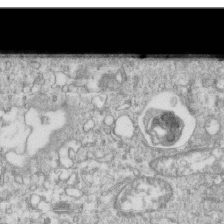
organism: Mouse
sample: Activated OT-1 CD8+ T cells